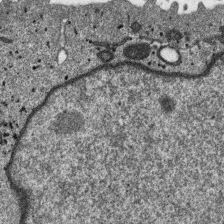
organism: Human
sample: Lung epithelial cells infected with SARS-CoV-2